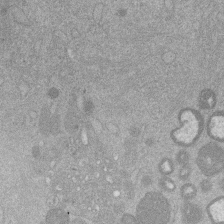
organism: Mouse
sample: Dividing mouse embryo 1 cell stage